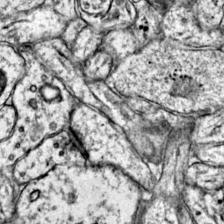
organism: Mouse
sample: Primary visual cortex